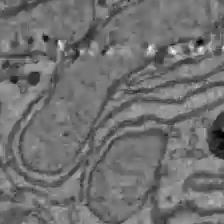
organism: C57BL Mouse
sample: Liver